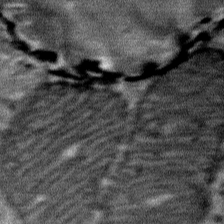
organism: Mouse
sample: Mouse Salivary gland